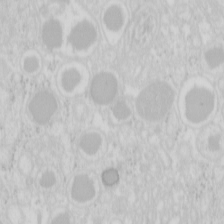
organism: Mouse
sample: Pancreas